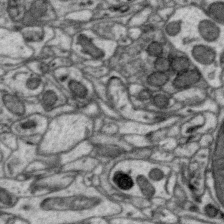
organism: Zebra finch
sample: Brain